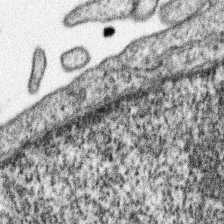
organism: Human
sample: HeLa cells